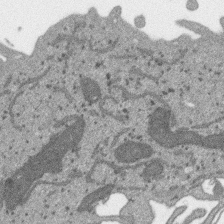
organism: Human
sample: Lung epithelial cells infected with SARS-CoV-2